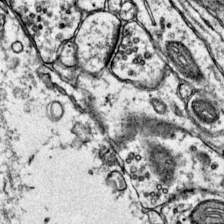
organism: Mouse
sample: Primary visual cortex